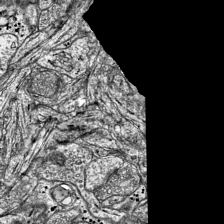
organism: Mouse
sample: Visual Cortex